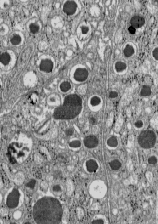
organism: C57BL Mouse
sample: Pancreatic islet